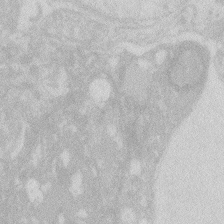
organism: Zebrafish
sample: Macrophage